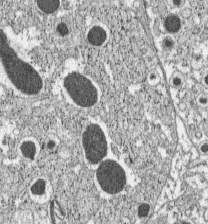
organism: C57BL Mouse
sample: Pancreatic islet